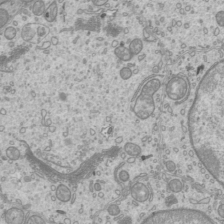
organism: Mouse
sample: Cilia; mouse epididymis